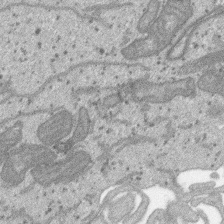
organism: Human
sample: Lung epithelial cells infected with SARS-CoV-2